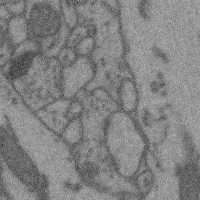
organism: Mouse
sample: Cerebral cortex